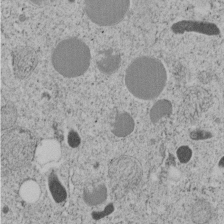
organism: C. elegans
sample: C. elegans embryo early stage